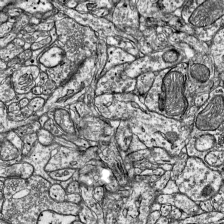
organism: Mouse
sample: Visual Cortex